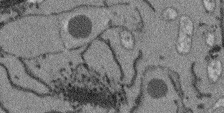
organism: Arabidopsis thaliana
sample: Root tip